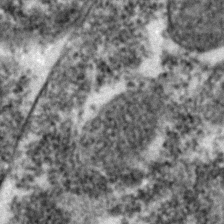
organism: Zebrafish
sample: Zebrafish embryo